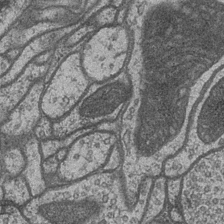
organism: Drosophila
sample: Optic medulla